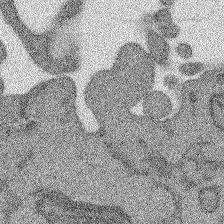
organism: Human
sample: HeLa cells